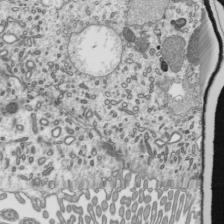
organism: Mouse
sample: Mouse epididymis efferent ductule cilia